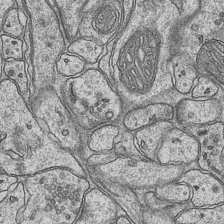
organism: Mouse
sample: CA1 Hippocampus